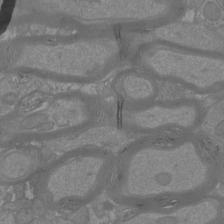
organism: Mouse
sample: Cortical neurons